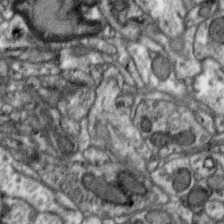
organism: Zebra finch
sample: Brain